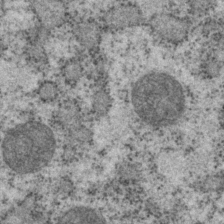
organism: P. pacificus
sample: Pharynx